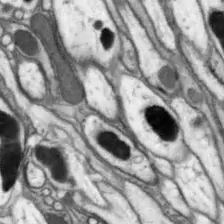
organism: Drosophila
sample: Optic lobe